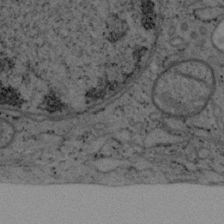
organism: Human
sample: HeLa cells